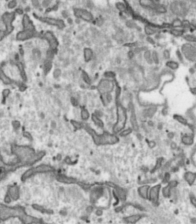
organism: Toxoplasma gondii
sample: Parasites in a vacuole inside a host cell